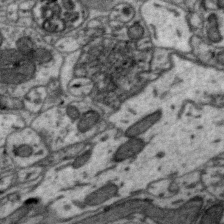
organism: Zebra finch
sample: Brain